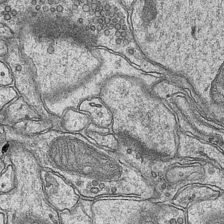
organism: Mouse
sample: CA1 Hippocampus